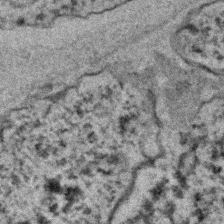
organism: C. elegans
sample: C. elegans embryo